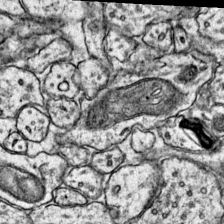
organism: Mouse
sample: Primary visual cortex